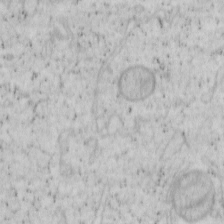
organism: Human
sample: HeLa cells